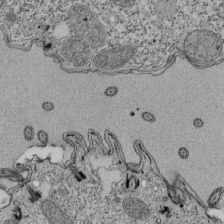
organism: Tetrahymena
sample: Cilia in tetrahymena